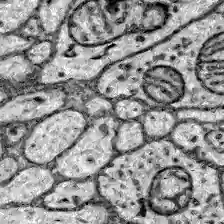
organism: Zebrafish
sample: Brain